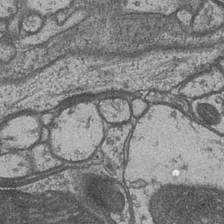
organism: Drosophila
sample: Optic medulla